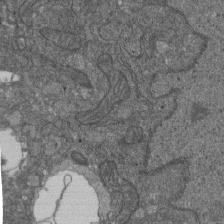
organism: Drosophila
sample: Nephrocyte